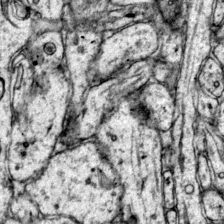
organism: Mouse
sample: Primary visual cortex